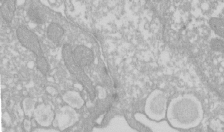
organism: Xenopus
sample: Cilia; centrioles in frog embryo cells